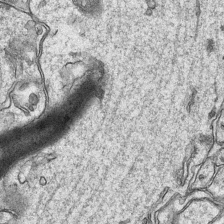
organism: Mouse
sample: CA1 Hippocampus